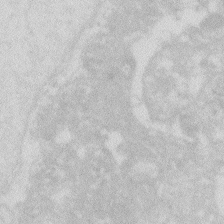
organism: Zebrafish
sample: Macrophage